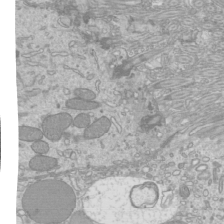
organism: Mouse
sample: Cilia; mouse epididymis